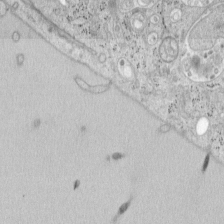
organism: Mouse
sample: OT-I killer T cells with ID8 ovarian cancer cells